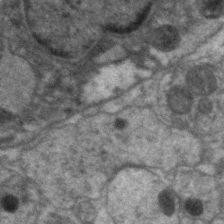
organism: C. elegans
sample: Pharynx